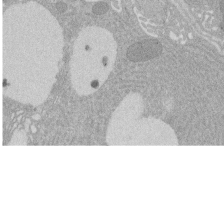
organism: Rat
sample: Salivary granule